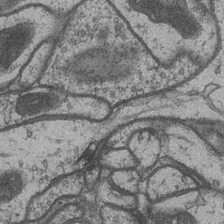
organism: Drosophila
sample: Optic medulla